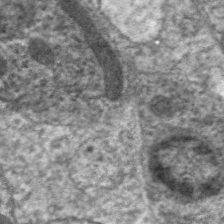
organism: C. elegans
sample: Pharynx